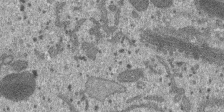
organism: Human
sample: Lung epithelial cells infected with SARS-CoV-2